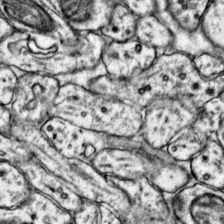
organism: Mouse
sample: Primary visual cortex